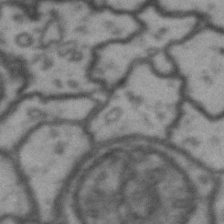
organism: Drosophila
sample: Brain